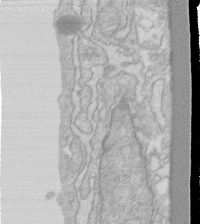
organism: Human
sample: Fibroblast cells